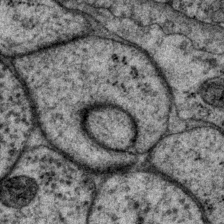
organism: P. pacificus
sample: Pharynx